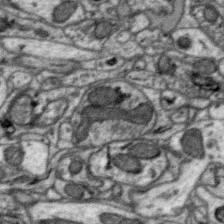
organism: Zebra finch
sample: Brain